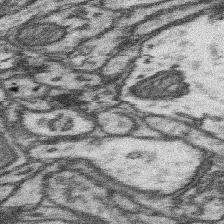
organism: Mouse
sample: Somatosensory cortex neuropil